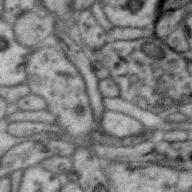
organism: Zebra finch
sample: Brain